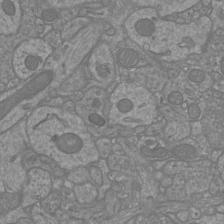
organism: Mouse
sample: Cortical neurons